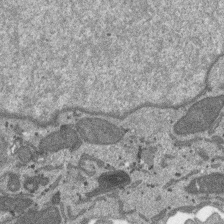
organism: Human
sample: Lung epithelial cells infected with SARS-CoV-2